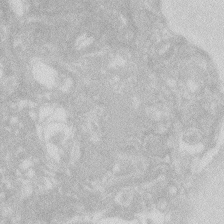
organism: Zebrafish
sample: Macrophage